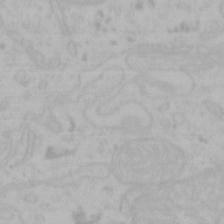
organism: Mouse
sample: Choroid plexus